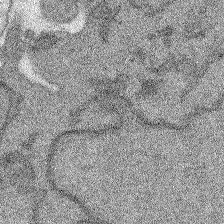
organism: Human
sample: HeLa cells